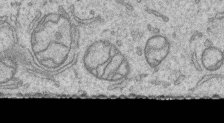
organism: Human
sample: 1205lu cells